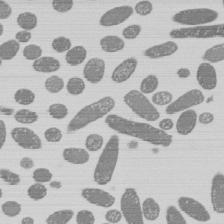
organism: E. coli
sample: Bacterial nucleoid